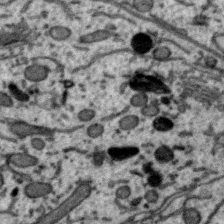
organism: Zebra finch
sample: Brain